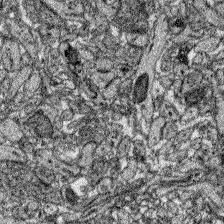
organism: Zebrafish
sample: Larval olfactory bulb